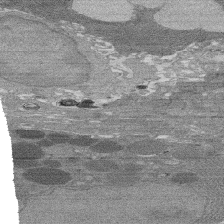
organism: Rat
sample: Salivary granule